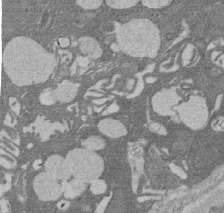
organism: Rat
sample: Salivary granule